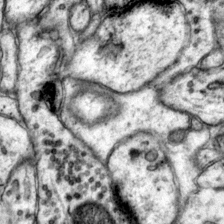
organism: Mouse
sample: Primary visual cortex